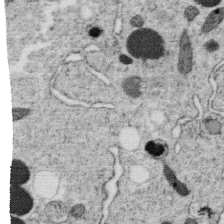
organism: C. elegans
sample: C. elegans oocyte; sperm cells